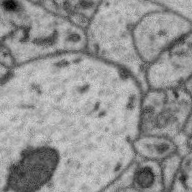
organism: Zebra finch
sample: Brain